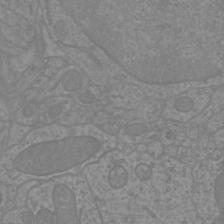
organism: Mouse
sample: Cortical neurons